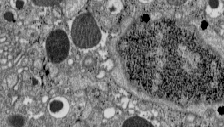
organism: C57BL Mouse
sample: Pancreatic islet